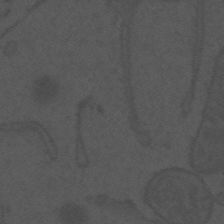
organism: Mouse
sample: Suprachiasmatic nucleus